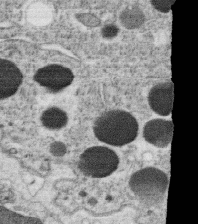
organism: C. elegans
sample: C. elegans oocyte; sperm cells